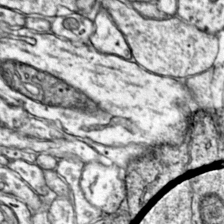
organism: Mouse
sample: Primary visual cortex